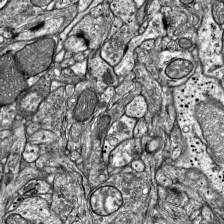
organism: Mouse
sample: Visual Cortex